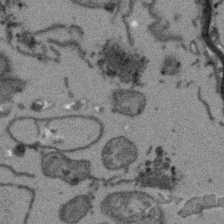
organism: Arabidopsis thaliana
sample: Root tip